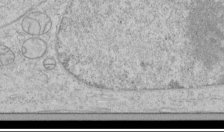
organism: Human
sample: Mitochondria in HCT116 cells